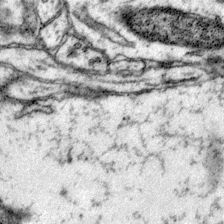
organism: Mouse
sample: Primary visual cortex